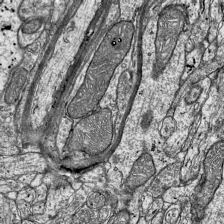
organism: Mouse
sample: Visual Cortex